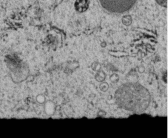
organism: C. elegans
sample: C. elegans embryo early stage